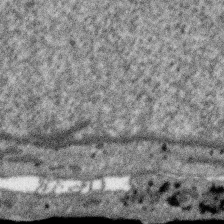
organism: Human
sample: Lung epithelial cells infected with SARS-CoV-2